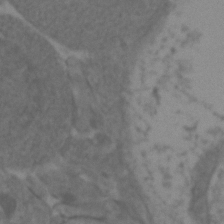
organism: Zebrafish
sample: Zebrafish embryo